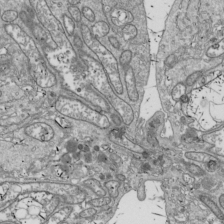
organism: Drosophila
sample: Cell division; meiosis; drosophila spermatocytes